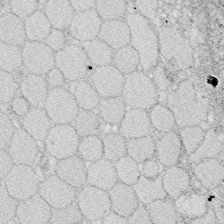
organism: Zebrafish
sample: Whole-Brain